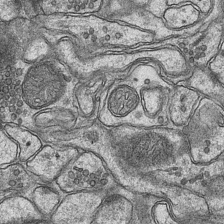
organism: Mouse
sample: CA1 Hippocampus